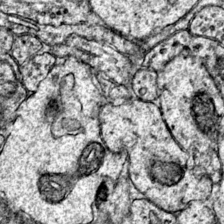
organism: Mouse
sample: Primary visual cortex